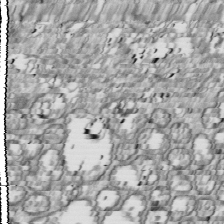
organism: Drosophila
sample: Cell division; meiosis; drosophila spermatocytes